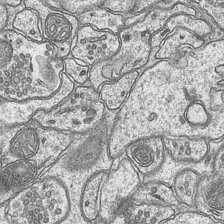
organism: Mouse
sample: CA1 Hippocampus